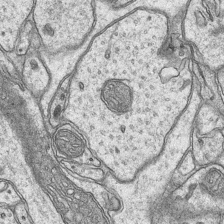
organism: Mouse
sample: CA1 Hippocampus